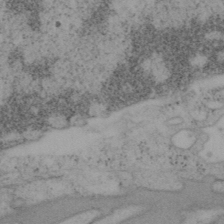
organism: Mouse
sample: OT-I killer T cells with ID8 ovarian cancer cells